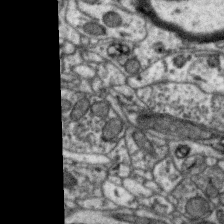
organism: Zebra finch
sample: Brain